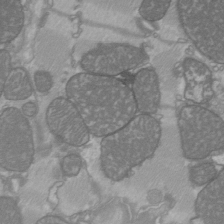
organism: C57BL Mouse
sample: Heart